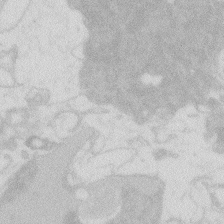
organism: Zebrafish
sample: Macrophage